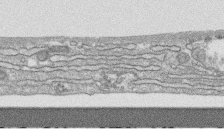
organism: Human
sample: CRL-1474